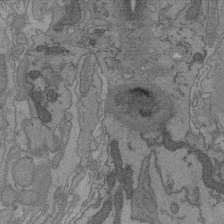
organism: C. elegans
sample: AFD neurons C. elegans